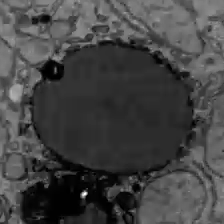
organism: C57BL Mouse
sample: Liver